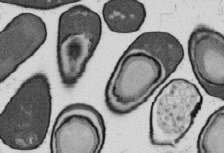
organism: B. subtilis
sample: Bacterial spore